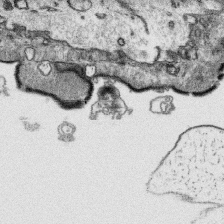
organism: Platynereis dumerilii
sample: Parapodia